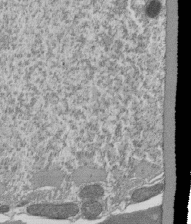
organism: Tetrahymena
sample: Cilia in tetrahymena